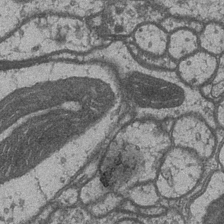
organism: Drosophila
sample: Optic medulla